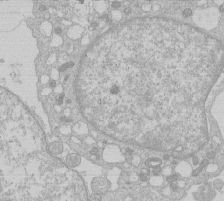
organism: Human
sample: Macrophage cells